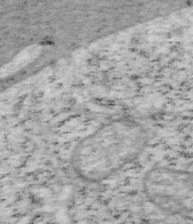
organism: Mouse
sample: OT-I killer T cells with ID8 ovarian cancer cells